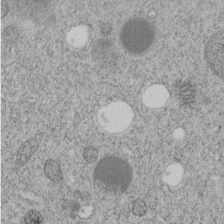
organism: C. elegans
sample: C. elegans embryo early stage